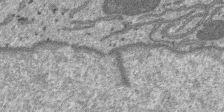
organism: Human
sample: Lung epithelial cells infected with SARS-CoV-2